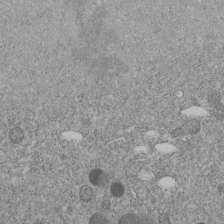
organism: C. elegans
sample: C. elegans embryo early stage